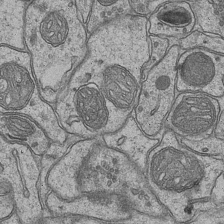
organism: Mouse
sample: CA1 Hippocampus